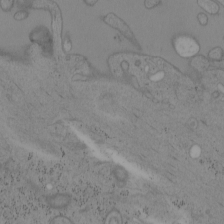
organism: Mouse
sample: OT-I killer T cells with ID8 ovarian cancer cells